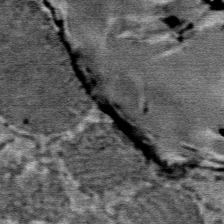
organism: Mouse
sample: Mouse Salivary gland